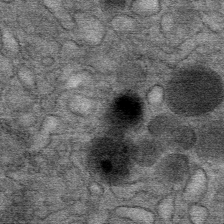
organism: Mouse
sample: Mouse Salivary gland